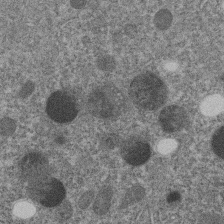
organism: C. elegans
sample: C. elegans embryo early stage